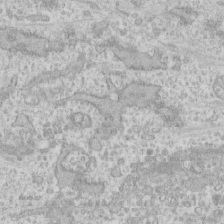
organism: Human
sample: CRL-1474